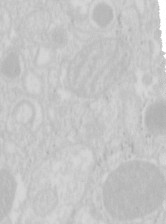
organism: Mouse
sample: Pancreas